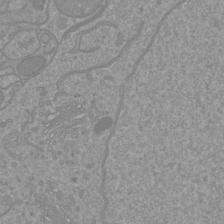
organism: Mouse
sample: Cortical neurons